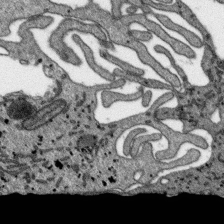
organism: Human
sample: Lung epithelial cells, uninfected (mock) control